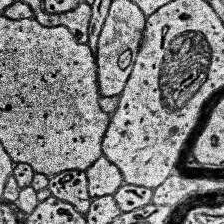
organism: Human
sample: Temporal Lobe